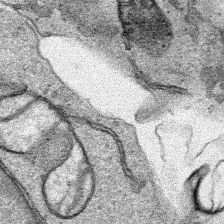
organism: Human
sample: Mitochondria in HCT116 cells